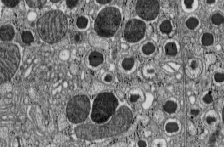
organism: C57BL Mouse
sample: Pancreatic islet